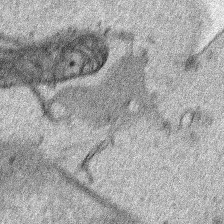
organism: Human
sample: Mitochondria in HCT116 cells